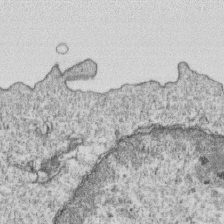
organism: Mouse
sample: Activated OT-1 CD8+ T cells